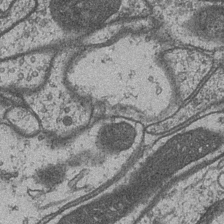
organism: Drosophila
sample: Optic medulla